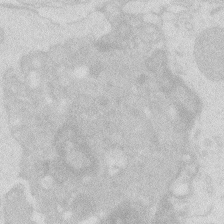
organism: Zebrafish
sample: Macrophage